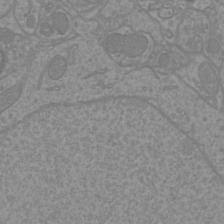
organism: Mouse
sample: Cortical neurons